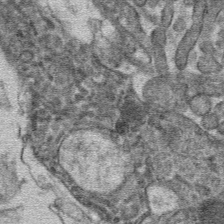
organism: Mouse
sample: Mouse hepatocytes